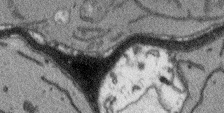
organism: Arabidopsis thaliana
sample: Root tip